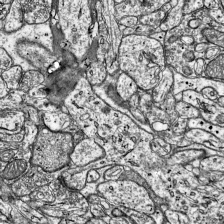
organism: Mouse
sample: Visual Cortex